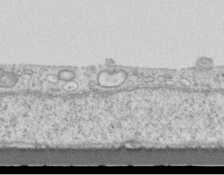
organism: Mouse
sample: Centriole in ependymal cells